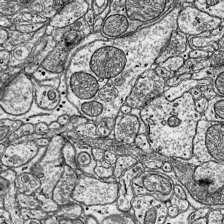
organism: Mouse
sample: Visual Cortex